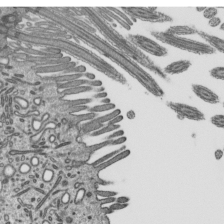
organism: Mouse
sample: Mouse epididymis efferent ductule cilia